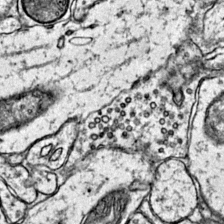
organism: Mouse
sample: Primary visual cortex